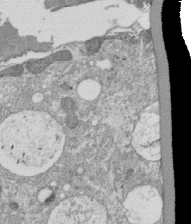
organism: Tetrahymena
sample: Cilia in tetrahymena